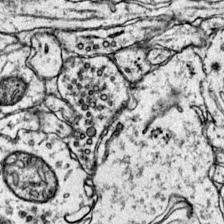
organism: Mouse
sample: Primary visual cortex